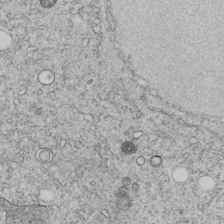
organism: C. elegans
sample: C. elegans embryo early stage